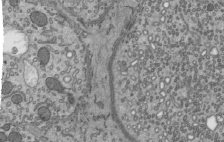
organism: Mouse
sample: Mouse epididymis efferent ductule cilia